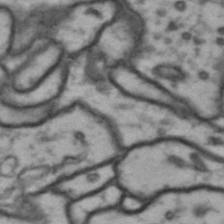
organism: Drosophila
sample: Brain